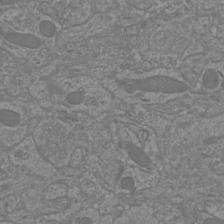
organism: Mouse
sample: Cortical neurons